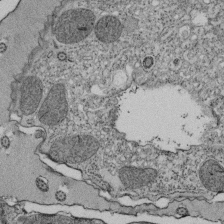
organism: Tetrahymena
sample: Cilia in tetrahymena